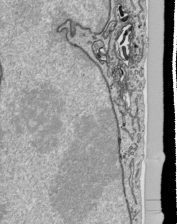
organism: Human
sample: Mitochondria in HCT116 cells